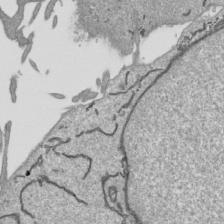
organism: Human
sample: Mitochondria in HCT116 cells